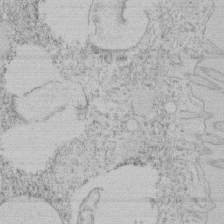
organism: Tetrahymena